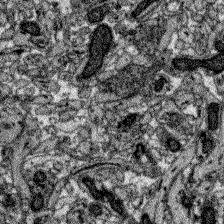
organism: Zebrafish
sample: Larval olfactory bulb